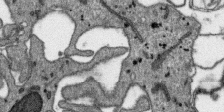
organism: Human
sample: Lung epithelial cells, uninfected (mock) control